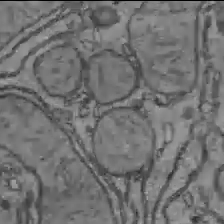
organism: C57BL Mouse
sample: Liver